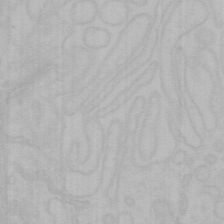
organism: Mouse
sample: Choroid plexus